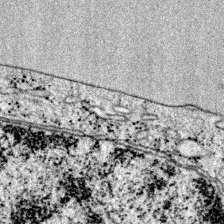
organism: Human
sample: HeLa cells